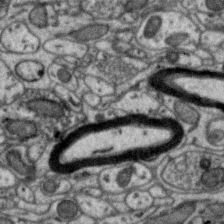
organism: Zebra finch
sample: Brain